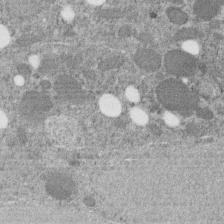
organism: C. elegans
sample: C. elegans embryo early stage